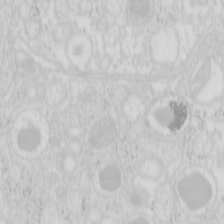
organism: Mouse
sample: Pancreas